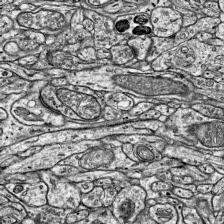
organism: Mouse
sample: Visual Cortex